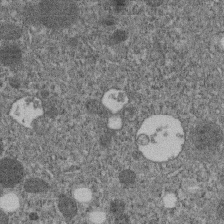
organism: C. elegans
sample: C. elegans embryo early stage